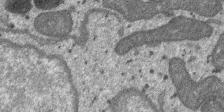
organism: Human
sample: Lung epithelial cells infected with SARS-CoV-2